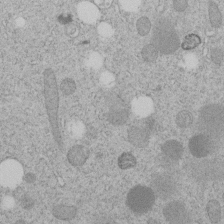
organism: C. elegans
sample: C. elegans embryo early stage